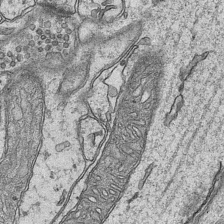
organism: Mouse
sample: CA1 Hippocampus